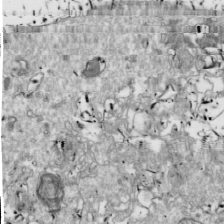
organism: Drosophila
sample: Cell division; meiosis; drosophila spermatocytes